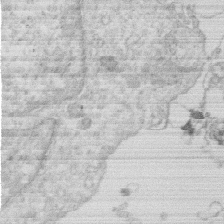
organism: Human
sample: Macrophage cells